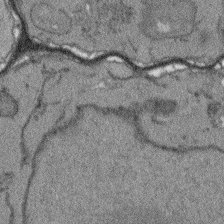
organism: Arabidopsis thaliana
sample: Root tip